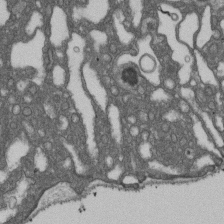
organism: Drosophila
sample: Nephrocyte